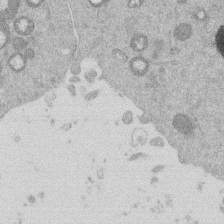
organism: Mouse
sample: Dividing mouse embryo 1 cell stage